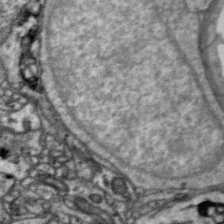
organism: Zebra finch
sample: Brain